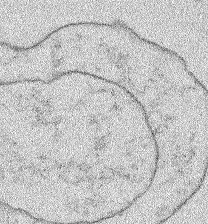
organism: Human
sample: HeLa cells